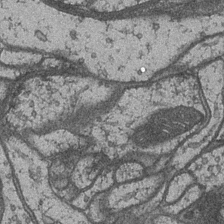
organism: Drosophila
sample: Optic medulla